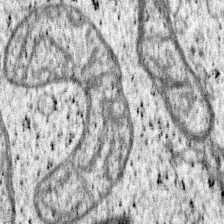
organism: Human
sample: HeLa cells